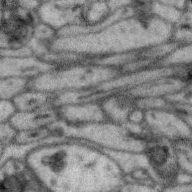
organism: Zebra finch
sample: Brain